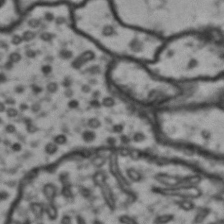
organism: Drosophila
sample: Brain